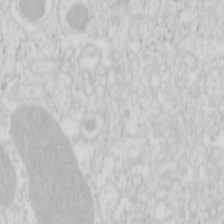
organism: Mouse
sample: Pancreas